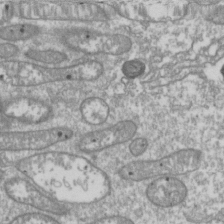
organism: Drosophila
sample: Cell division; meiosis; drosophila spermatocytes